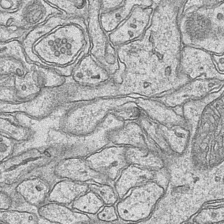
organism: Mouse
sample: CA1 Hippocampus